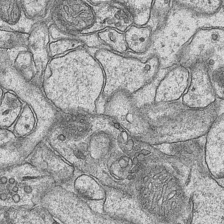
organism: Mouse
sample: CA1 Hippocampus